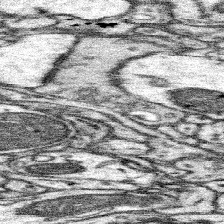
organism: Mouse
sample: Somatosensory cortex neuropil